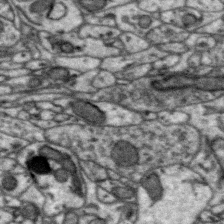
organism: Zebra finch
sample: Brain